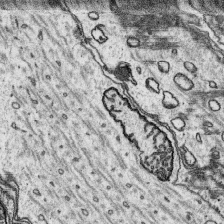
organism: Platynereis dumerilii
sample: Parapodia